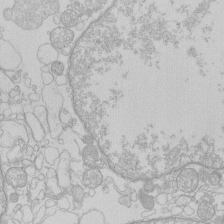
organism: Human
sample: Macrophage cells